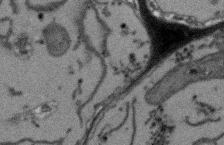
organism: Arabidopsis thaliana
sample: Root tip